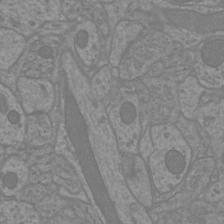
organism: Mouse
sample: Cortical neurons